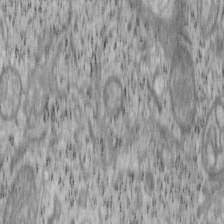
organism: Human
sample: HeLa cells